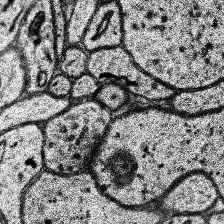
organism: Human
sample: Temporal Lobe